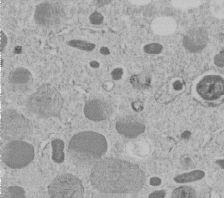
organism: C. elegans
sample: C. elegans embryo early stage